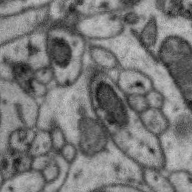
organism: Zebra finch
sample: Brain